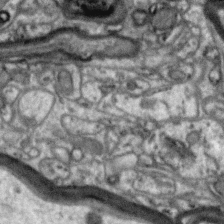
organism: Zebra finch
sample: Brain